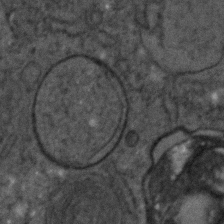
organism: C. elegans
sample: C. elegans embryo